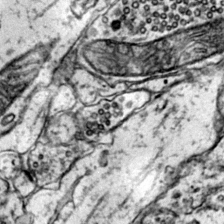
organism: Mouse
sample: Primary visual cortex